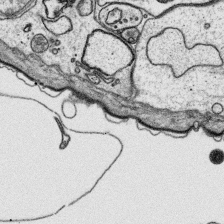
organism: Platynereis dumerilii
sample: Parapodia